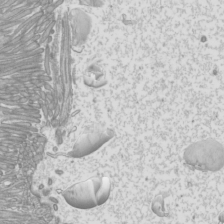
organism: Mouse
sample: Cilia; mouse epididymis